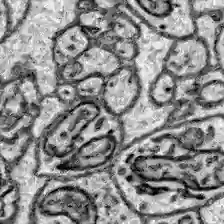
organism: Zebrafish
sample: Brain